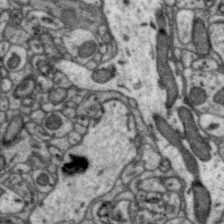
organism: Zebra finch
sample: Brain